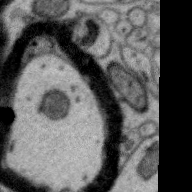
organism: Zebra finch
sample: Brain